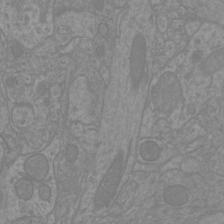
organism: Mouse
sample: Cortical neurons